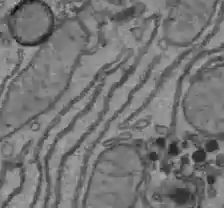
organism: C57BL Mouse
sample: Liver